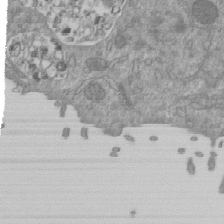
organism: Mouse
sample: ED-1 cell nuclei; centrioles